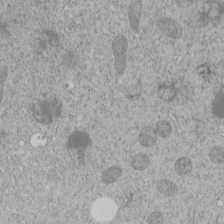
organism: C. elegans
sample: C. elegans embryo early stage